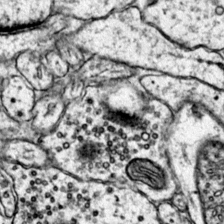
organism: Mouse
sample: Primary visual cortex